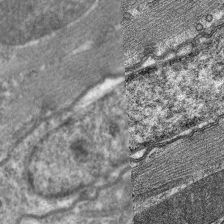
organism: C. elegans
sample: Pharynx